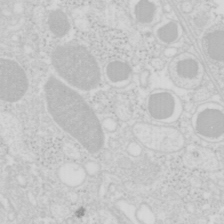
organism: Mouse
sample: Pancreas